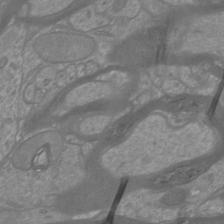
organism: Mouse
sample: Cortical neurons